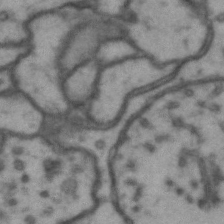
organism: Drosophila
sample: Brain